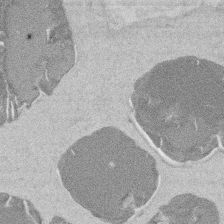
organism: Mouse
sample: T cell stromal cell synapse